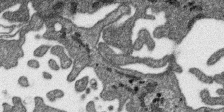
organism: Human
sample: Lung epithelial cells infected with SARS-CoV-2